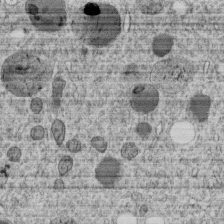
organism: C. elegans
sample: C. elegans embryo early stage